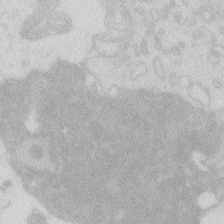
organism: Zebrafish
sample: Macrophage